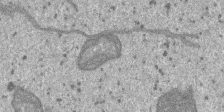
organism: Human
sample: Lung epithelial cells infected with SARS-CoV-2